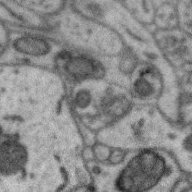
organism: Zebra finch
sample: Brain